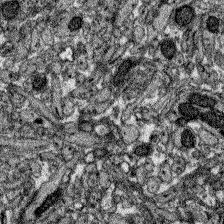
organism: Zebrafish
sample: Larval olfactory bulb